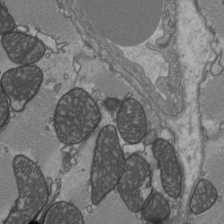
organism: C57BL Mouse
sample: Heart